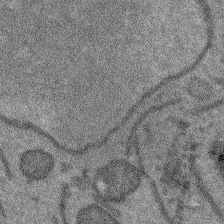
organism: Arabidopsis thaliana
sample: Root tip